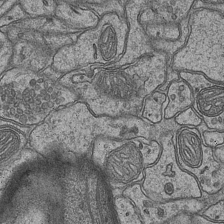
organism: Mouse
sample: CA1 Hippocampus